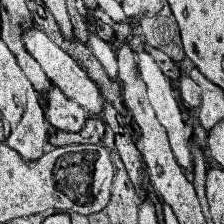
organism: Human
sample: Temporal Lobe